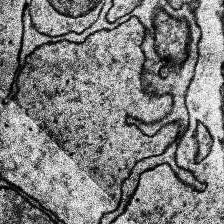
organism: Human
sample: Temporal Lobe